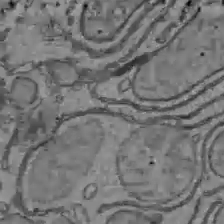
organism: C57BL Mouse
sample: Liver